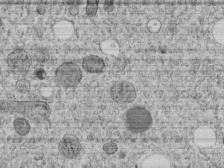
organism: C. elegans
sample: C. elegans embryo early stage